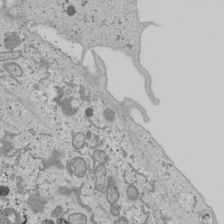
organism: Human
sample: Mitochondria in U2OS cells